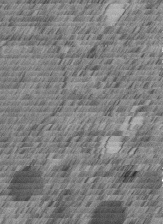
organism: C. elegans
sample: C. elegans embryo early stage